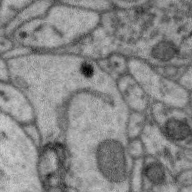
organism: Zebra finch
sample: Brain